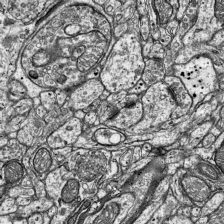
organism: Mouse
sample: Visual Cortex